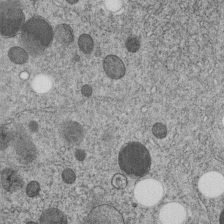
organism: C. elegans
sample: C. elegans embryo early stage